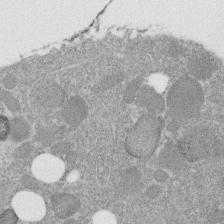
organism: C. elegans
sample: C. elegans embryo early stage